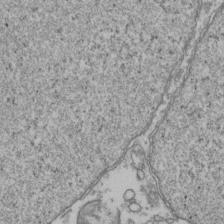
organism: Human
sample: Activated Jurkat CD4+ T cells